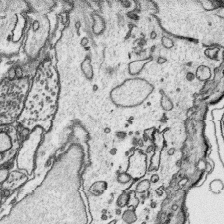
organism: Platynereis dumerilii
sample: Parapodia